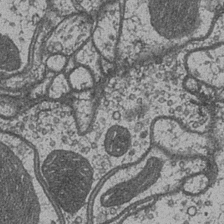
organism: Drosophila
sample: Optic medulla